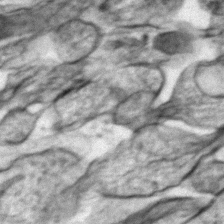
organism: Zebrafish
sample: Zebrafish embryo